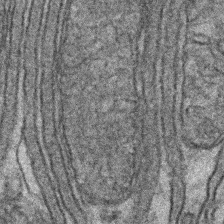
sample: Kidney